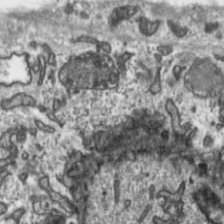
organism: Toxoplasma gondii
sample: Parasites in a vacuole inside a host cell